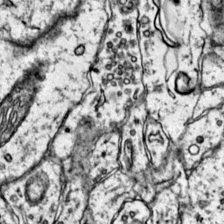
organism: Mouse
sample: Primary visual cortex